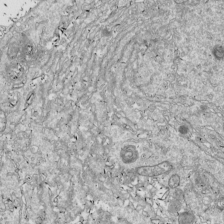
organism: Drosophila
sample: Cell division; meiosis; drosophila spermatocytes